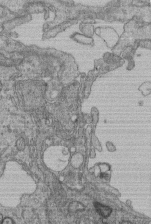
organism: Human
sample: Retinal organoid Rod and Cone cells